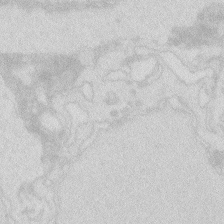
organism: Zebrafish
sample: Macrophage